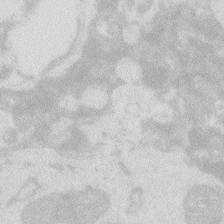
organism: Zebrafish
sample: Macrophage